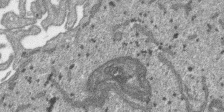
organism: Human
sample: Lung epithelial cells infected with SARS-CoV-2